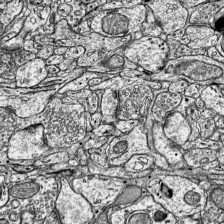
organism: Mouse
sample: Visual Cortex